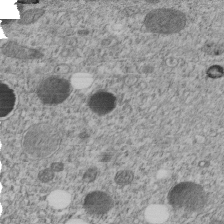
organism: C. elegans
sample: C. elegans embryo early stage